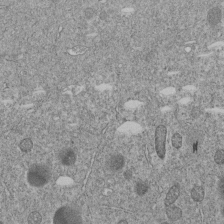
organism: C. elegans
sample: C. elegans embryo early stage